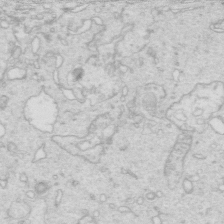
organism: Mouse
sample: Multiciliated cells